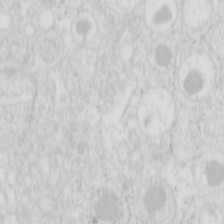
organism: Mouse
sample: Pancreas